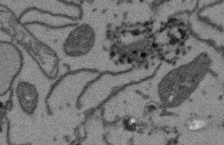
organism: Arabidopsis thaliana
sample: Root tip